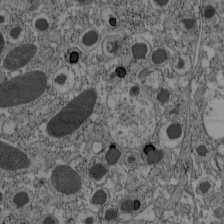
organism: C57BL Mouse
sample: Pancreatic islet